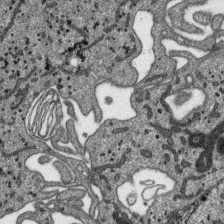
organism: Human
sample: Lung epithelial cells infected with SARS-CoV-2